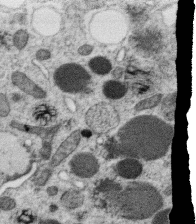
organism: C. elegans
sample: C. elegans oocyte; sperm cells